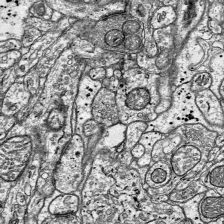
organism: Mouse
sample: Visual Cortex